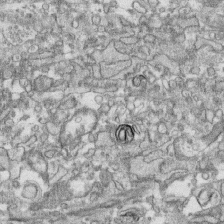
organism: Human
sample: CRL-1474